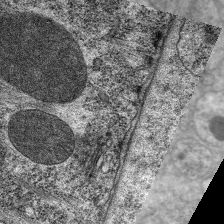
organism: C. elegans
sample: Pharynx